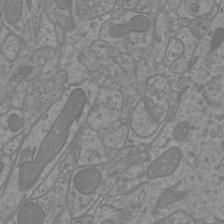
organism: Mouse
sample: Cortical neurons